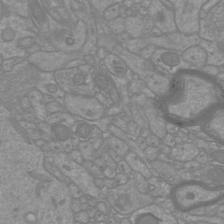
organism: Mouse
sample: Cortical neurons